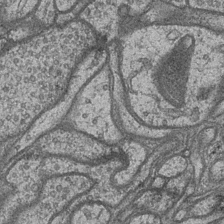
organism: Drosophila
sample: Optic medulla